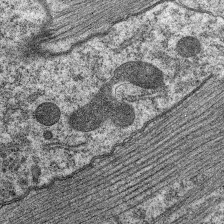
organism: C. elegans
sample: Pharynx